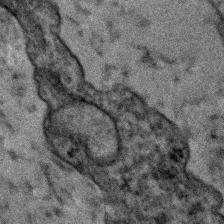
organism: Human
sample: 1205lu cells